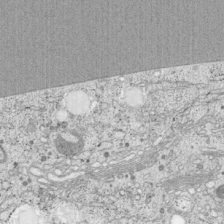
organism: African green monkey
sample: COS-7 cells